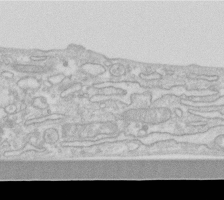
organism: Human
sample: Fibroblast cells